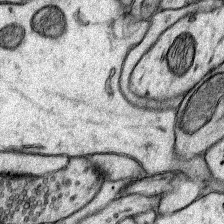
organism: Rat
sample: Hippocampus